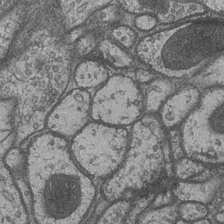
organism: Drosophila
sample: Optic medulla